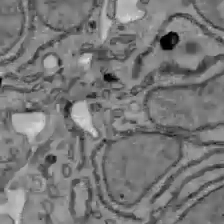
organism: C57BL Mouse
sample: Liver